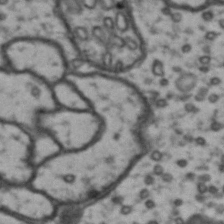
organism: Drosophila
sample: Brain